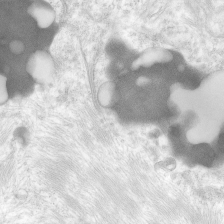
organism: Human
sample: Neocortex